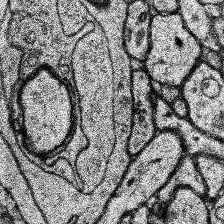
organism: Human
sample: Temporal Lobe